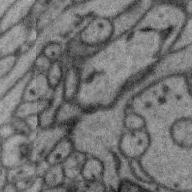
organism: Zebra finch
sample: Brain